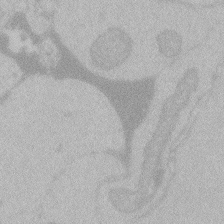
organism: Zebrafish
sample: Macrophage infected with Toxoplasma gondii